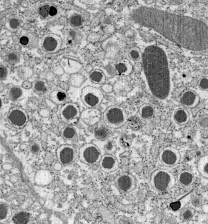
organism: C57BL Mouse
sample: Pancreatic islet